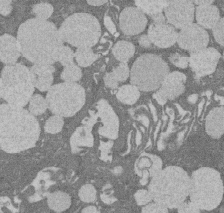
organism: Rat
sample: Salivary granule